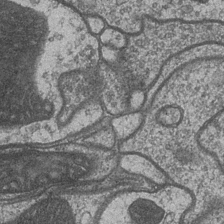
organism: Drosophila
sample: Optic medulla